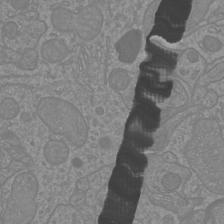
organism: Mouse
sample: Cortical neurons